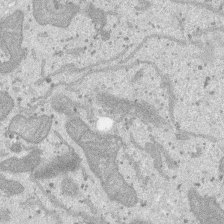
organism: Human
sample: Lung epithelial cells infected with SARS-CoV-2